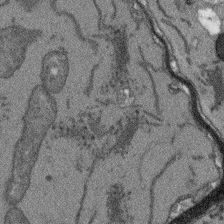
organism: Arabidopsis thaliana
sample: Root tip